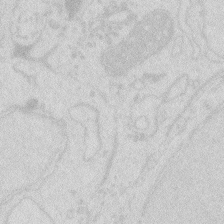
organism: Zebrafish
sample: Macrophage